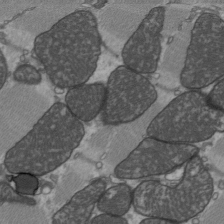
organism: C57BL Mouse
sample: Heart